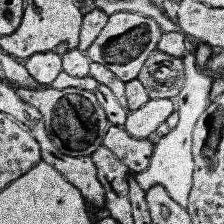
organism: Human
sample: Temporal Lobe